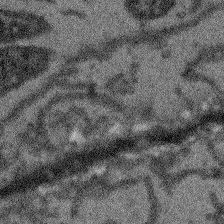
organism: Arabidopsis thaliana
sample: Root tip